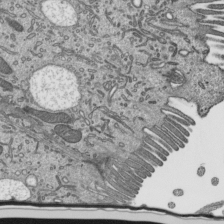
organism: Mouse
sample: Mouse epididymis efferent ductule cilia